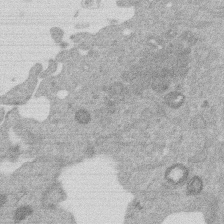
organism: Mouse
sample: Dividing mouse embryo 1 cell stage